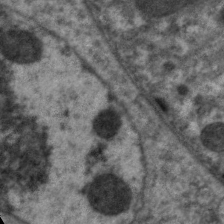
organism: C. elegans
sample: Pharynx